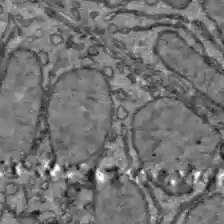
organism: C57BL Mouse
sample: Liver